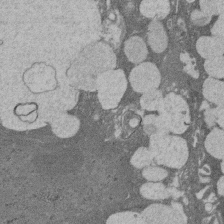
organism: Rat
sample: Salivary granule